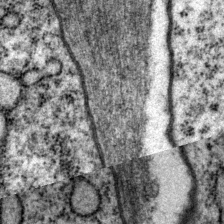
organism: P. pacificus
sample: Pharynx